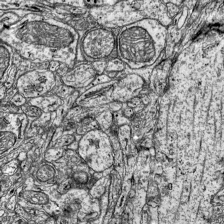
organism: Mouse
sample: Visual Cortex